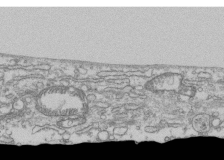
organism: Human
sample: Fibroblast cells